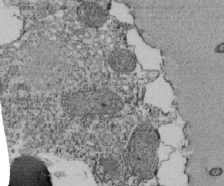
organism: Tetrahymena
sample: Cilia in tetrahymena